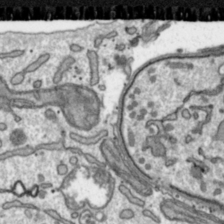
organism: Toxoplasma gondii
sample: Parasites in a vacuole inside a host cell